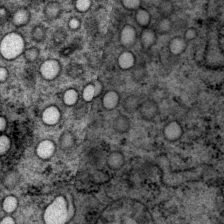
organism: P. pacificus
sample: Pharynx